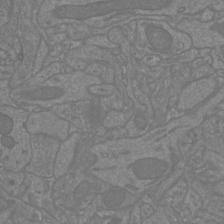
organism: Mouse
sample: Cortical neurons